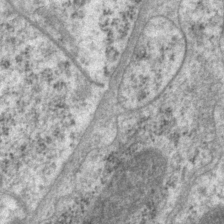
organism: P. pacificus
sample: Pharynx